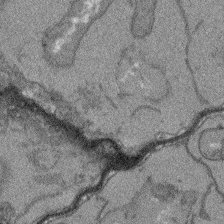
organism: Arabidopsis thaliana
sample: Root tip